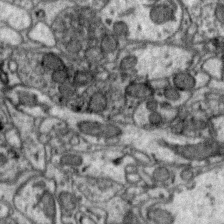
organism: Zebra finch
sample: Brain